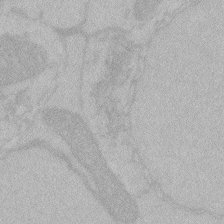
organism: Zebrafish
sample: Macrophage infected with Toxoplasma gondii